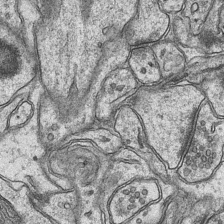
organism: Mouse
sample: CA1 Hippocampus